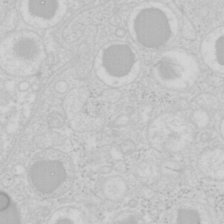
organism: Mouse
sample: Pancreas